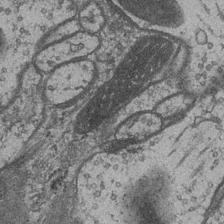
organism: Drosophila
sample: Optic medulla